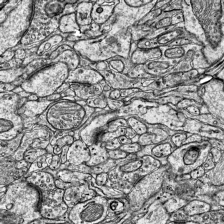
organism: Mouse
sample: Visual Cortex